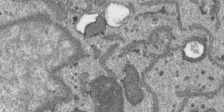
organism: Human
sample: Lung epithelial cells infected with SARS-CoV-2